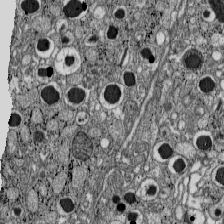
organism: C57BL Mouse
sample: Pancreatic islet